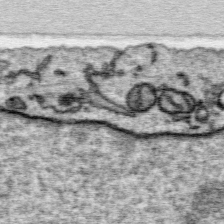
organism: Human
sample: HeLa cells